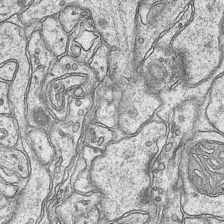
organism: Mouse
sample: CA1 Hippocampus